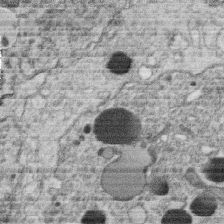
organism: C. elegans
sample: C. elegans oocyte; sperm cells